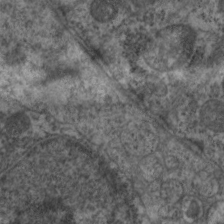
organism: C. elegans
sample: Pharynx